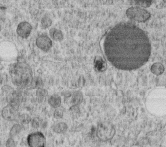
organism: C. elegans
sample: C. elegans embryo early stage